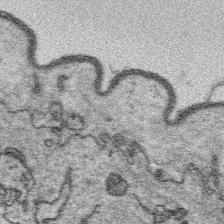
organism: Platynereis dumerilii